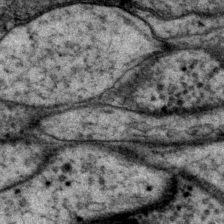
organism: P. pacificus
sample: Pharynx